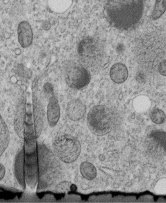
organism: C. elegans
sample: C. elegans embryo early stage